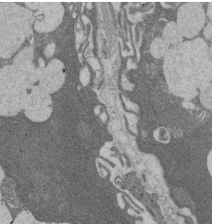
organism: Rat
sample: Salivary granule